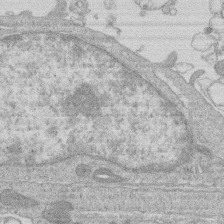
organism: Human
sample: Macrophage cells